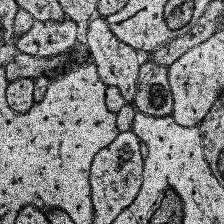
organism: Human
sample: Temporal Lobe